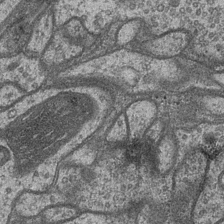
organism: Drosophila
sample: Optic medulla